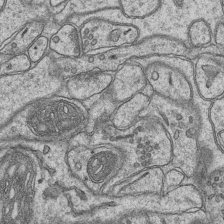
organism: Mouse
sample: CA1 Hippocampus